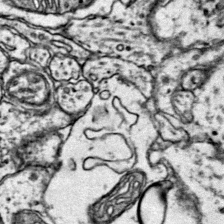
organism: Mouse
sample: Primary visual cortex